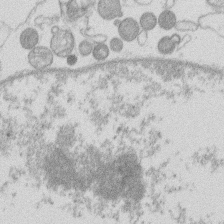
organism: Human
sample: Macrophage cells